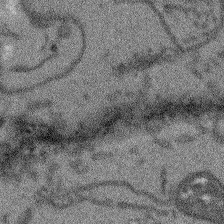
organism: Arabidopsis thaliana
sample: Root tip